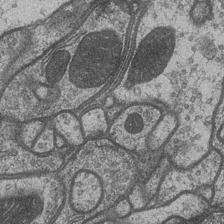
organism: Drosophila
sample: Optic medulla